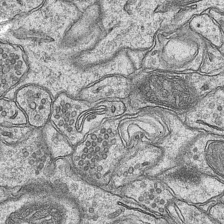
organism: Mouse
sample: CA1 Hippocampus